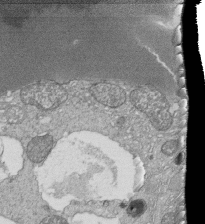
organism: Tetrahymena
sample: Cilia in tetrahymena